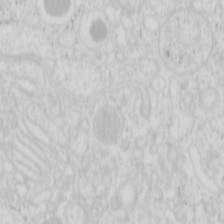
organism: Mouse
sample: Pancreas